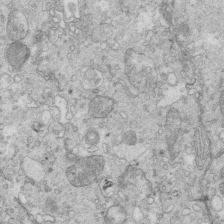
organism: Mouse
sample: Multiciliated cells